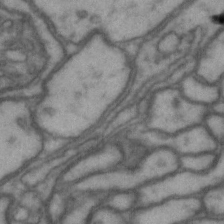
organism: Drosophila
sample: Brain